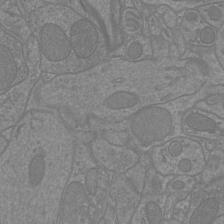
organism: Mouse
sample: Cortical neurons